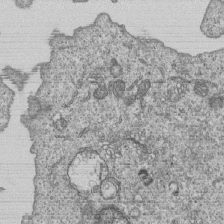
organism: Human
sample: MDA-MB-231 cells